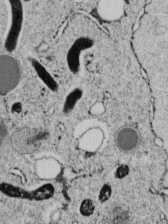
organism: C. elegans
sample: C. elegans embryo early stage